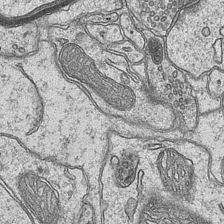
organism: Mouse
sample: CA1 Hippocampus